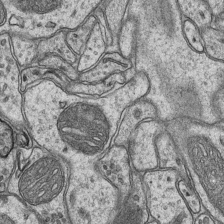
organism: Mouse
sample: CA1 Hippocampus